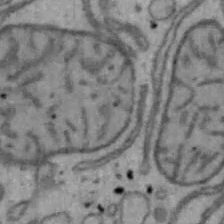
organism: Mouse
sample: Liver